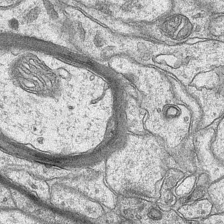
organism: Mouse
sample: CA1 Hippocampus